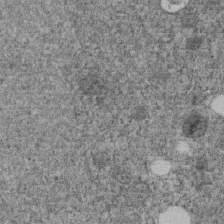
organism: C. elegans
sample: C. elegans embryo early stage